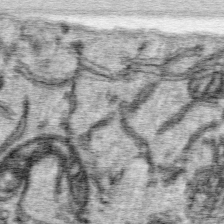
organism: Human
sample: HeLa cells